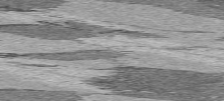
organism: C57BL Mouse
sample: Heart